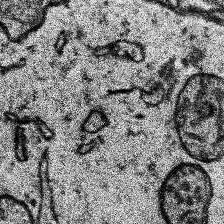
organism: Human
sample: Temporal Lobe